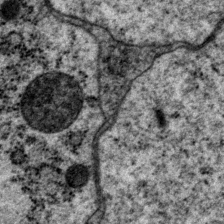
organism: P. pacificus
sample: Pharynx